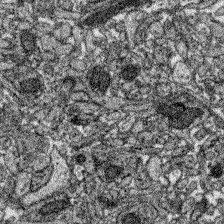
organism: Zebrafish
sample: Larval olfactory bulb